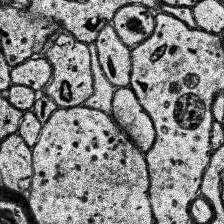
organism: Human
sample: Temporal Lobe